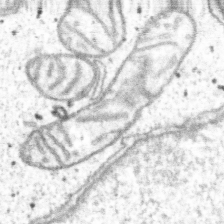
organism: Human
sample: HeLa cells